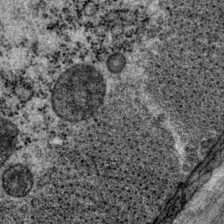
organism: P. pacificus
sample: Pharynx